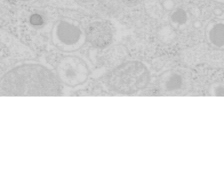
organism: Mouse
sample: Pancreas